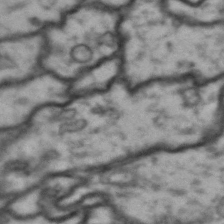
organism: Drosophila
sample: Brain